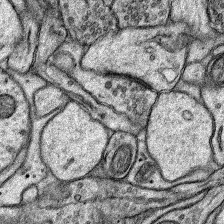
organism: Rat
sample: Hippocampus